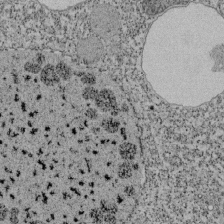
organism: Tetrahymena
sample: Cilia in tetrahymena